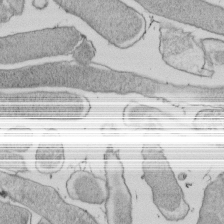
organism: E. coli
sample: Bacterial nucleoid